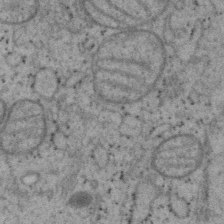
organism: Human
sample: HeLa cells